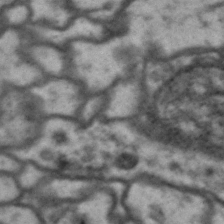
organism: Drosophila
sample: Brain